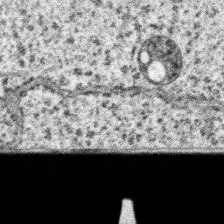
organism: Human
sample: HeLa cells